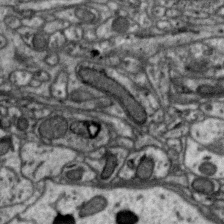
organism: Zebra finch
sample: Brain